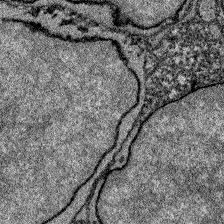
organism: Zebrafish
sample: Larval olfactory bulb